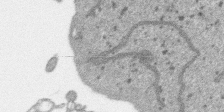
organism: Human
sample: Lung epithelial cells infected with SARS-CoV-2